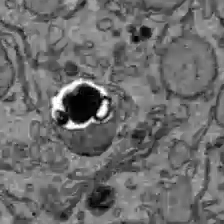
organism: C57BL Mouse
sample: Liver